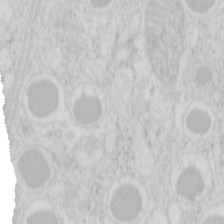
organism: Mouse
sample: Pancreas